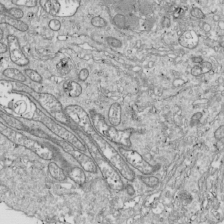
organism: Drosophila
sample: Cell division; meiosis; drosophila spermatocytes